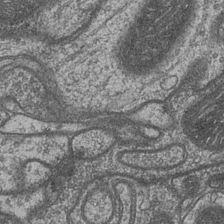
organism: Drosophila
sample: Optic medulla